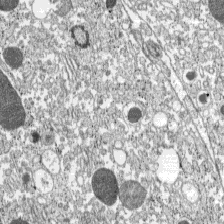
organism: C57BL Mouse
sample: Pancreatic islet